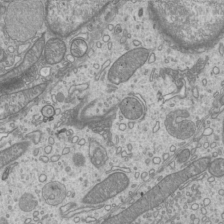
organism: Mouse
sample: Cilia; mouse epididymis